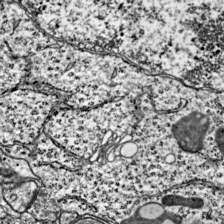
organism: Mouse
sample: Visual Cortex